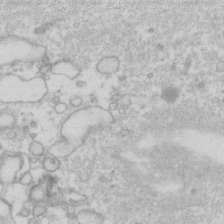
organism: Human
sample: Fibroblast cells